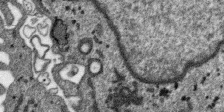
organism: Human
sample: Lung epithelial cells infected with SARS-CoV-2